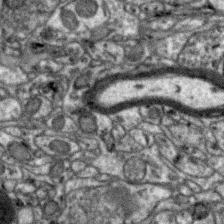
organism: Zebra finch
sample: Brain